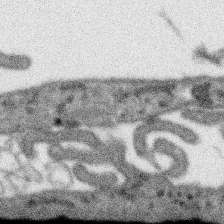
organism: Human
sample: Lung epithelial cells infected with SARS-CoV-2